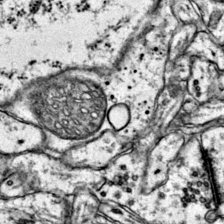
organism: Mouse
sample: Primary visual cortex